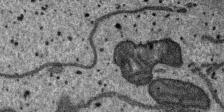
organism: Human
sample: Lung epithelial cells, uninfected (mock) control